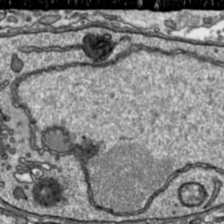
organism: Toxoplasma gondii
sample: Parasites in a vacuole inside a host cell